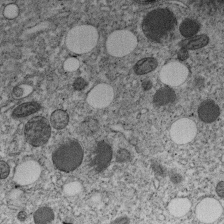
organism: C. elegans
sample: C. elegans embryo early stage